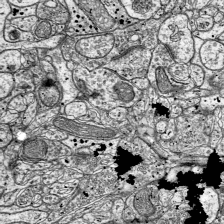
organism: Mouse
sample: Visual Cortex